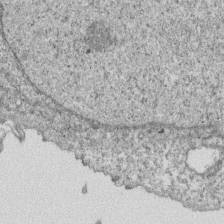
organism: Human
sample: HeLa cell HIV synapse